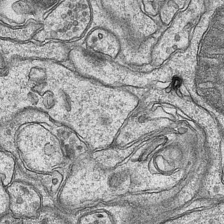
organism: Mouse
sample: CA1 Hippocampus